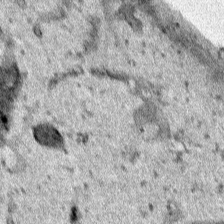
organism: Human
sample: Mitochondria in HCT116 cells